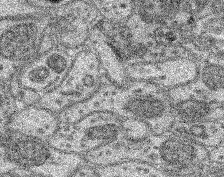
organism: Mouse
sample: Retina